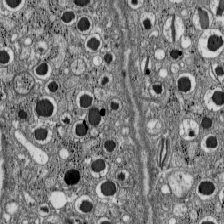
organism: C57BL Mouse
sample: Pancreatic islet